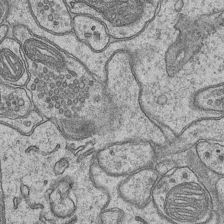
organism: Mouse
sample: CA1 Hippocampus